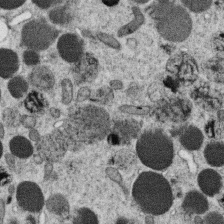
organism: C. elegans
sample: C. elegans oocyte; sperm cells